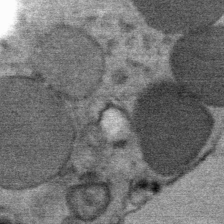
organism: Mouse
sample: Mouse Salivary gland